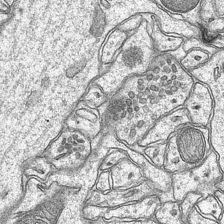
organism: Mouse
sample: CA1 Hippocampus